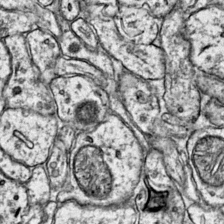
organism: Mouse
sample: Primary visual cortex